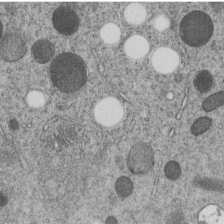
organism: C. elegans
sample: C. elegans embryo early stage